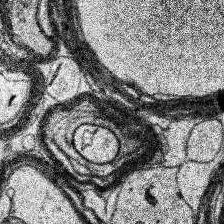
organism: Human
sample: Temporal Lobe